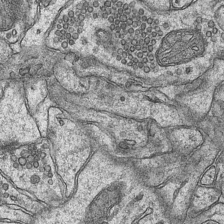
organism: Mouse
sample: CA1 Hippocampus